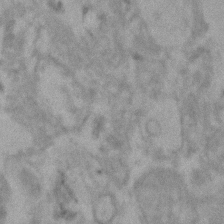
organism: Human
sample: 1205lu cells